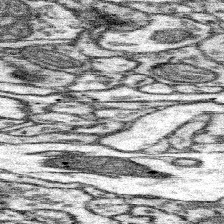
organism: Mouse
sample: Somatosensory cortex neuropil